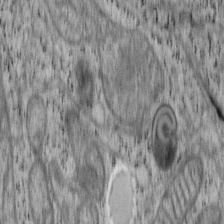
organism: Human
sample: HeLa cells